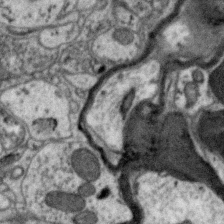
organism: Zebra finch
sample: Brain